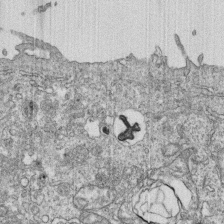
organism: Human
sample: HeLa cell HIV synapse